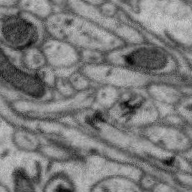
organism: Zebra finch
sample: Brain